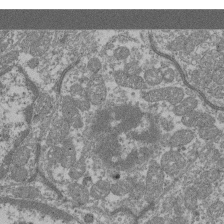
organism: Mouse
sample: Glomerulus